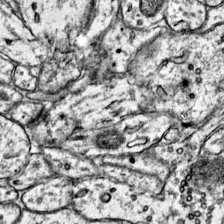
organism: Mouse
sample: Primary visual cortex